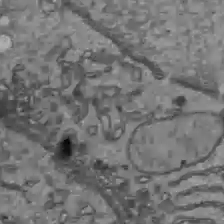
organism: C57BL Mouse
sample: Liver